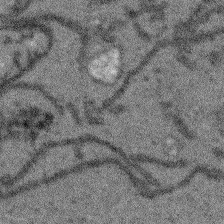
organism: Arabidopsis thaliana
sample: Root tip